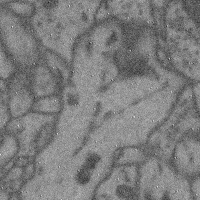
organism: Mouse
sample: Cerebral cortex